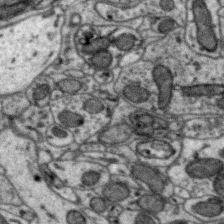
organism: Zebra finch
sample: Brain